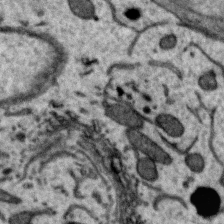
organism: Zebra finch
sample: Brain